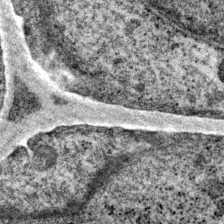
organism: P. pacificus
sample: Pharynx